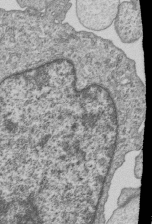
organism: Human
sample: MDA-MB-231 cells